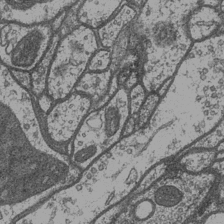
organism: Drosophila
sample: Optic medulla